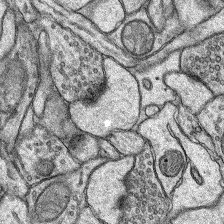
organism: Rat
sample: Hippocampus